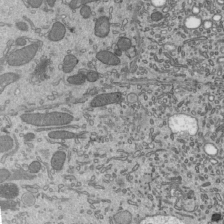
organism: Mouse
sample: Mouse epididymis efferent ductule cilia